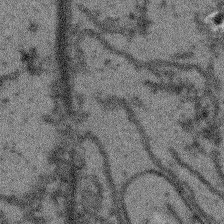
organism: Arabidopsis thaliana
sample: Root tip